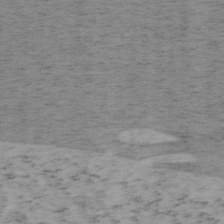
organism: Mouse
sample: OT-I killer T cells with ID8 ovarian cancer cells